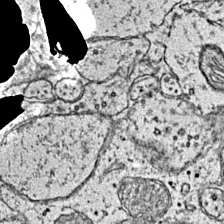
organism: Mouse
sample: Primary visual cortex